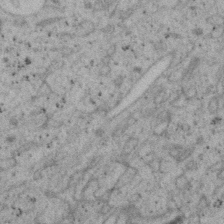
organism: Human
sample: HeLa cells